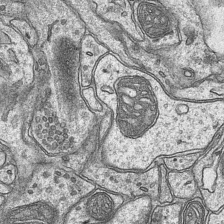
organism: Mouse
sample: CA1 Hippocampus